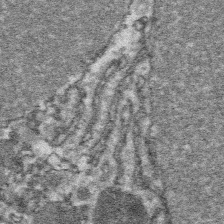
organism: Platynereis dumerilii